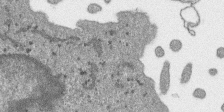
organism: Human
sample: Lung epithelial cells infected with SARS-CoV-2